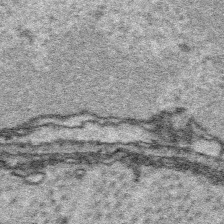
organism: Platynereis dumerilii